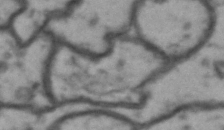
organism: Drosophila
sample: Brain